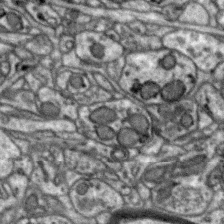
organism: Zebra finch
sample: Brain